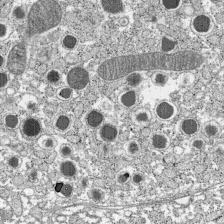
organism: C57BL Mouse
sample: Pancreatic islet